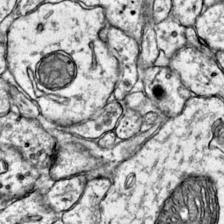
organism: Mouse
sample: Primary visual cortex